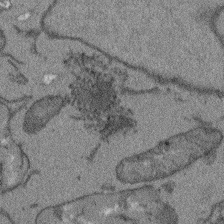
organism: Arabidopsis thaliana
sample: Root tip